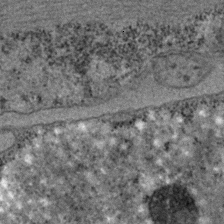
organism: C. elegans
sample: C. elegans embryo